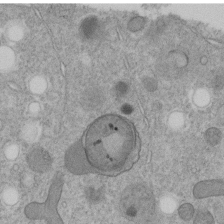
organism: C. elegans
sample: C. elegans embryo early stage